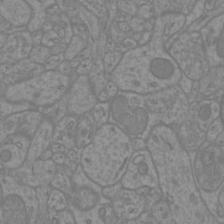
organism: Mouse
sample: Cortical neurons